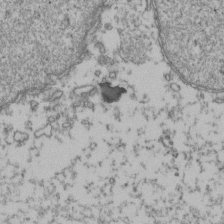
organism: Human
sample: Activated Jurkat CD4+ T cells